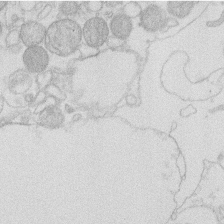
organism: Human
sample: Macrophage cells